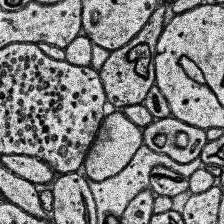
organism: Human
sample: Temporal Lobe